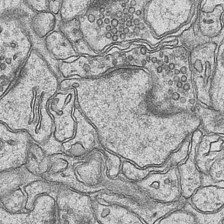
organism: Mouse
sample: CA1 Hippocampus